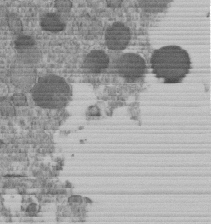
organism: C. elegans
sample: C. elegans embryo early stage